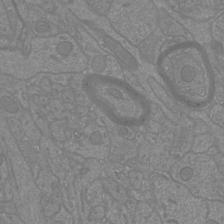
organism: Mouse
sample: Cortical neurons